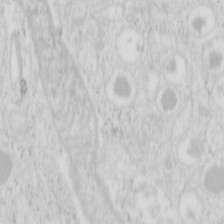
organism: Mouse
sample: Pancreas